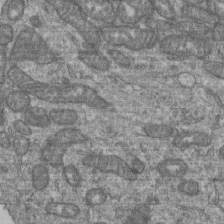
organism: Human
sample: Retinal organoid Rod and Cone cells